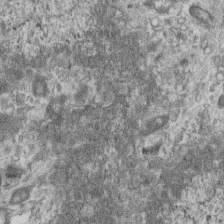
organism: Mouse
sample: Centriole in ependymal cells